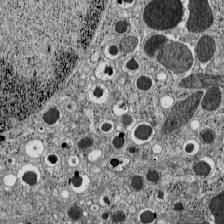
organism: C57BL Mouse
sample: Pancreatic islet